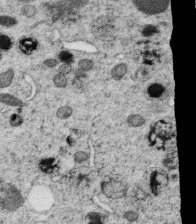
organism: C. elegans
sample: C. elegans oocyte; sperm cells